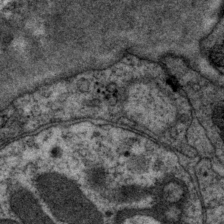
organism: P. pacificus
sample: Pharynx